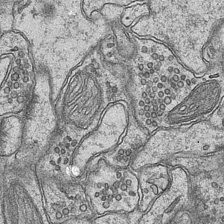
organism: Mouse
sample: CA1 Hippocampus